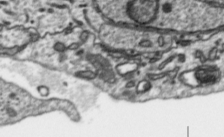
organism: Toxoplasma gondii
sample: Parasites in a vacuole inside a host cell